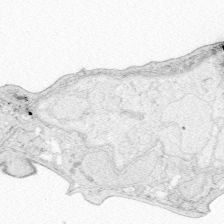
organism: Zebrafish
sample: Whole-Brain